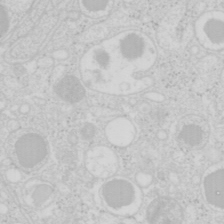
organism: Mouse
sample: Pancreas